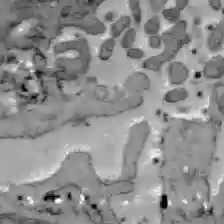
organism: C57BL Mouse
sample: Liver